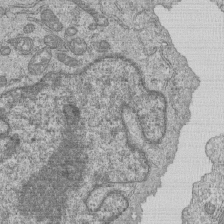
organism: Human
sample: MDA-MB-231 cells